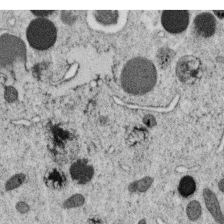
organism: C. elegans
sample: C. elegans oocyte; sperm cells